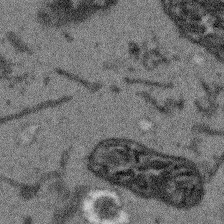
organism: Arabidopsis thaliana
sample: Root tip